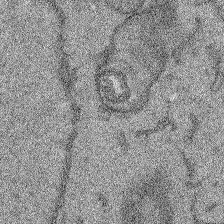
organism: Human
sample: HeLa cells